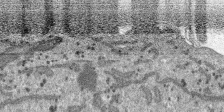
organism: Human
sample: Lung epithelial cells infected with SARS-CoV-2